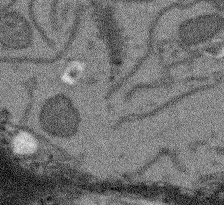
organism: Arabidopsis thaliana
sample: Root tip